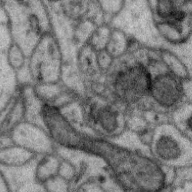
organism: Zebra finch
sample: Brain